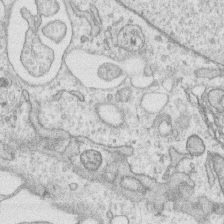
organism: Human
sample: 1205lu cells